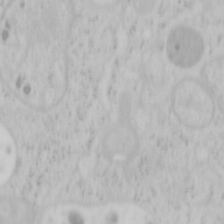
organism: Mouse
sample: OT-I killer T cells with ID8 ovarian cancer cells